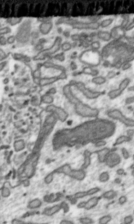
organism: Toxoplasma gondii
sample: Parasites in a vacuole inside a host cell